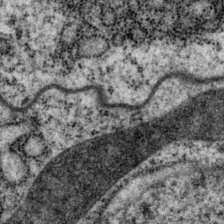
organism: P. pacificus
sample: Pharynx